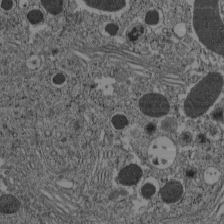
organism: C57BL Mouse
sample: Pancreatic islet